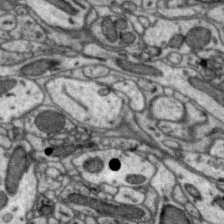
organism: Zebra finch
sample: Brain